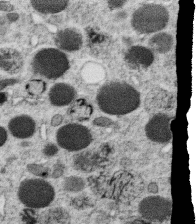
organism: C. elegans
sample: C. elegans oocyte; sperm cells